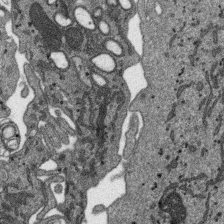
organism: Human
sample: Lung epithelial cells infected with SARS-CoV-2